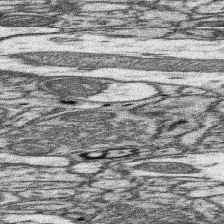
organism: Mouse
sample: Somatosensory cortex neuropil